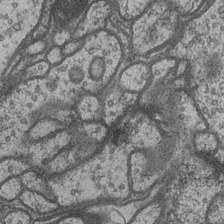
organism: Drosophila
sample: Optic medulla